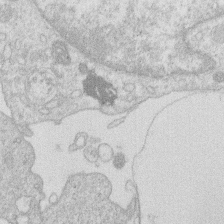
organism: Human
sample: Macrophage cells